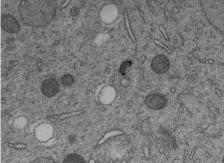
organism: C. elegans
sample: C. elegans embryo early stage